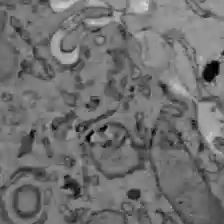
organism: C57BL Mouse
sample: Liver